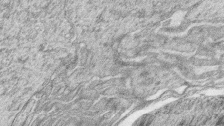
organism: Zebrafish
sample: synaptic ribbons in rod cells and cone cells